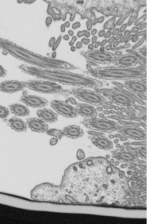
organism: Mouse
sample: Mouse epididymis efferent ductule cilia